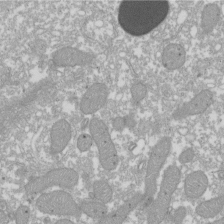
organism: Xenopus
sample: Cilia; centrioles in frog embryo cells